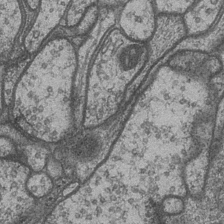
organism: Drosophila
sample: Optic medulla